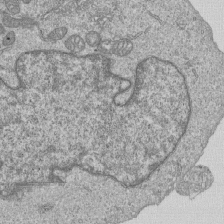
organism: Human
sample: MDA-MB-231 cells